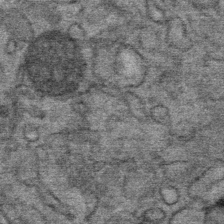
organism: Mouse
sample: Mouse Salivary gland